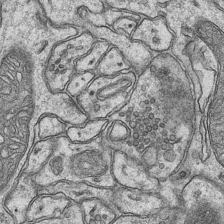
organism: Mouse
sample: CA1 Hippocampus